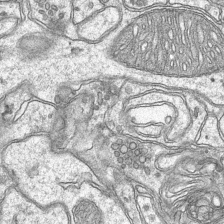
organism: Mouse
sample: CA1 Hippocampus